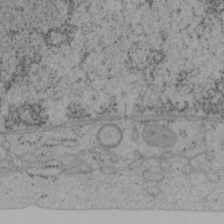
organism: Human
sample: HeLa cells